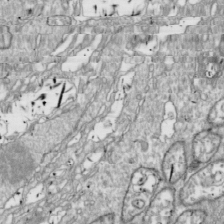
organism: Drosophila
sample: Cell division; meiosis; drosophila spermatocytes